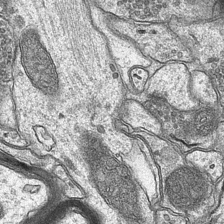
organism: Mouse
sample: CA1 Hippocampus